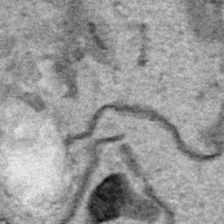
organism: Human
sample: Mitochondria in HCT116 cells